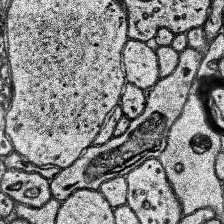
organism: Human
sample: Temporal Lobe